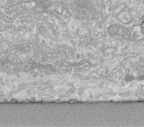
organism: Human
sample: Centriole in fibroblast cells